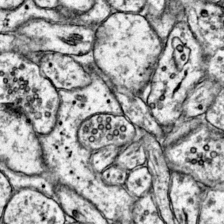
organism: Mouse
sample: Primary visual cortex